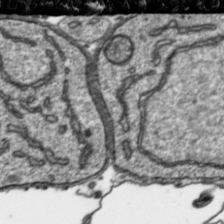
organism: Toxoplasma gondii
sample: Parasites in a vacuole inside a host cell